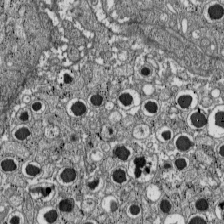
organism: C57BL Mouse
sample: Pancreatic islet